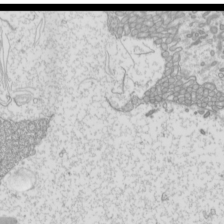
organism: Mouse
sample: Cilia; mouse epididymis